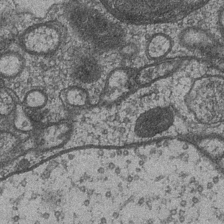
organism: Drosophila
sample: Optic medulla